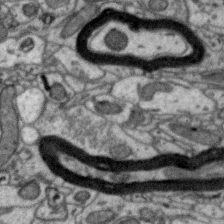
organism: Zebra finch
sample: Brain